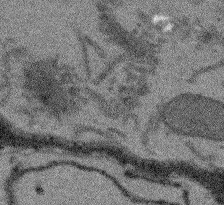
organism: Arabidopsis thaliana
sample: Root tip